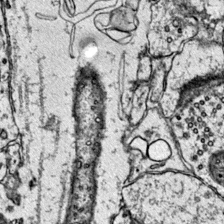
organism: Mouse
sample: Primary visual cortex